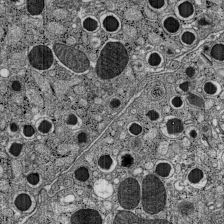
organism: C57BL Mouse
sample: Pancreatic islet